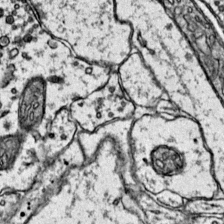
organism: Mouse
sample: Primary visual cortex